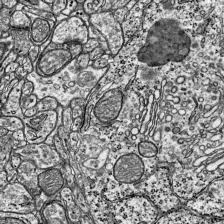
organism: Mouse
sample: Visual Cortex